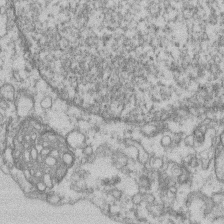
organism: Mouse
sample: T cell stromal cell synapse